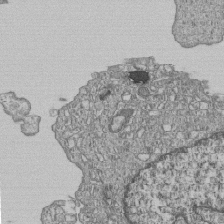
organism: Human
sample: MDA-MB-231 cells